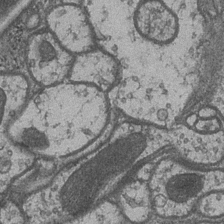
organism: Drosophila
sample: Optic medulla